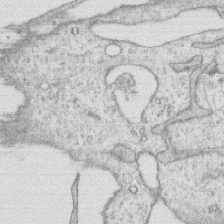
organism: Human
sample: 1205lu cells